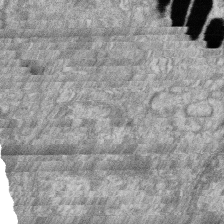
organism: Zebrafish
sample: Cilia; retinal pigment epithelium